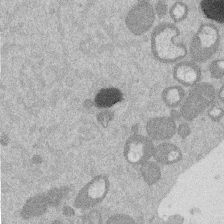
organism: Mouse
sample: Dividing mouse embryo 1 cell stage